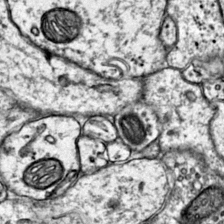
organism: Mouse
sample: Primary visual cortex